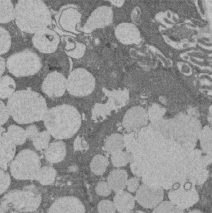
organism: Rat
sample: Salivary granule